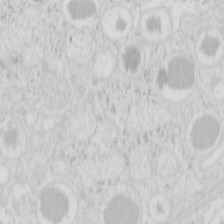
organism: Mouse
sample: Pancreas